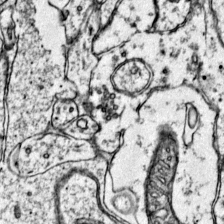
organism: Mouse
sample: Primary visual cortex